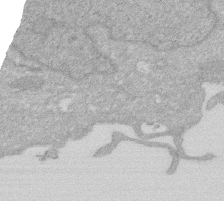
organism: Human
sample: HIV infected U937 cells